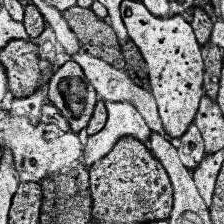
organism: Human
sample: Temporal Lobe